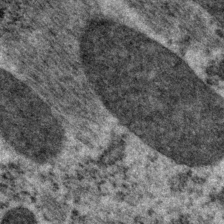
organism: P. pacificus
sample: Pharynx